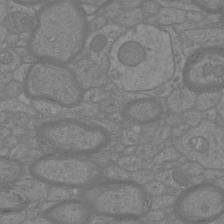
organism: Mouse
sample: Cortical neurons